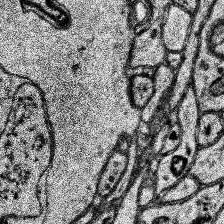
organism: Human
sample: Temporal Lobe